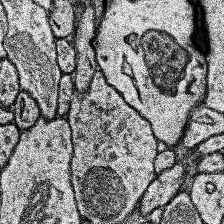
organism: Human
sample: Temporal Lobe